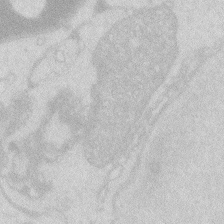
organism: Zebrafish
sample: Macrophage